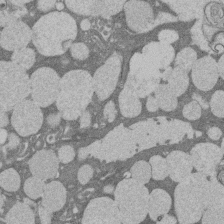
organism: Rat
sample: Salivary granule